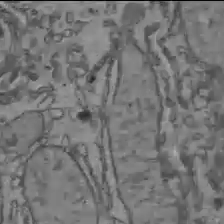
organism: C57BL Mouse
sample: Liver